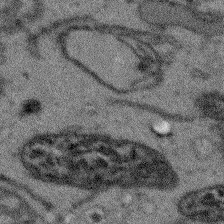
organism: Arabidopsis thaliana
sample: Root tip